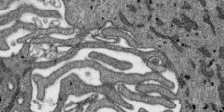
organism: Human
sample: Lung epithelial cells, uninfected (mock) control